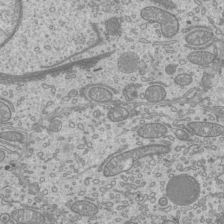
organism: Mouse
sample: Cilia; mouse epididymis